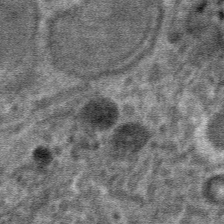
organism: Mouse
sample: Mouse hepatocytes